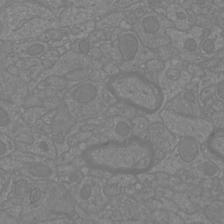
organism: Mouse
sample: Cortical neurons